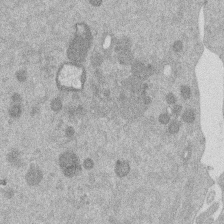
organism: Mouse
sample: Dividing mouse embryo 1 cell stage